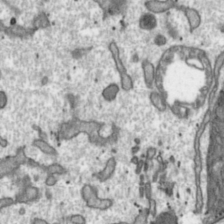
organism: Toxoplasma gondii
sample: Parasites in a vacuole inside a host cell